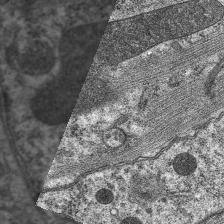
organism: C. elegans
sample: Pharynx